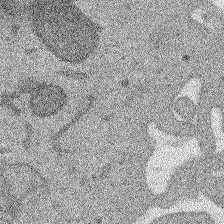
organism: Human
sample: HeLa cells